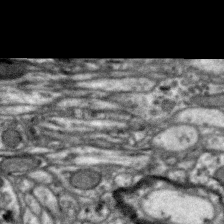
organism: Zebra finch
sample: Brain